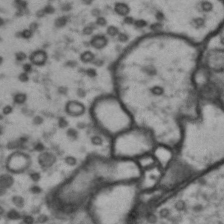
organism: Drosophila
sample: Brain